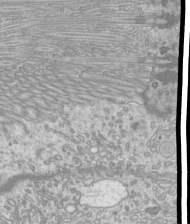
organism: Mouse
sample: Cilia; mouse epididymis